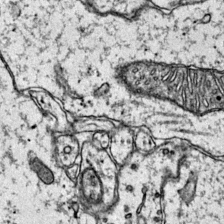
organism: Mouse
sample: Primary visual cortex